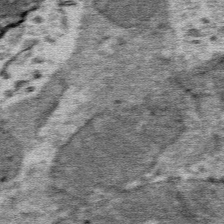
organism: Mouse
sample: Mouse Salivary gland